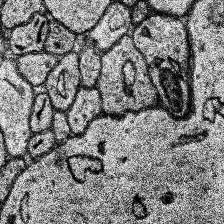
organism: Human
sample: Temporal Lobe